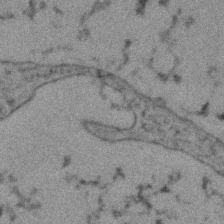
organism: Zebrafish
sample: Zebrafish embryo